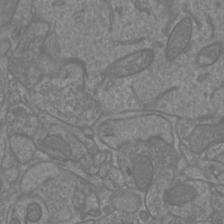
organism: Mouse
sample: Cortical neurons